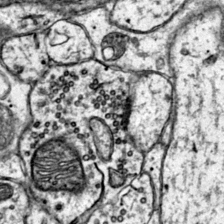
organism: Mouse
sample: Primary visual cortex